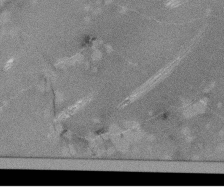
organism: Tetrahymena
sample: Cilia in tetrahymena